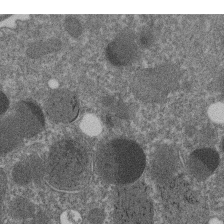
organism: C. elegans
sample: C. elegans embryo early stage